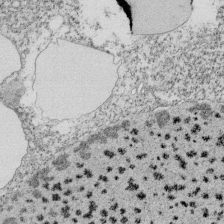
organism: Tetrahymena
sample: Cilia in tetrahymena